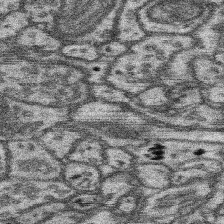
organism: Mouse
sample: Somatosensory cortex neuropil